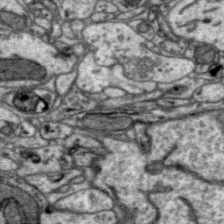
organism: Zebra finch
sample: Brain